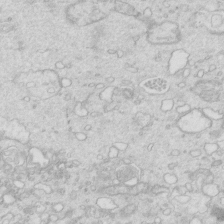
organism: Mouse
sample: Multiciliated cells